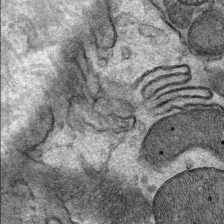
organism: Mouse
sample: Mouse Salivary gland